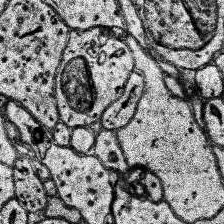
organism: Human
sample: Temporal Lobe